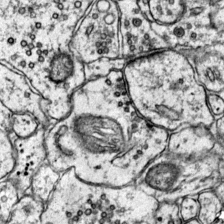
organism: Mouse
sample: Primary visual cortex